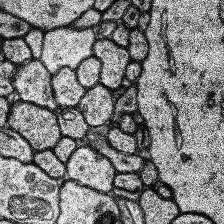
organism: Human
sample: Temporal Lobe